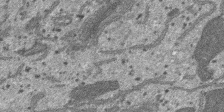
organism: Human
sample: Lung epithelial cells infected with SARS-CoV-2